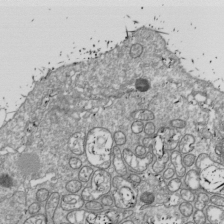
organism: Drosophila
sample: Cell division; meiosis; drosophila spermatocytes